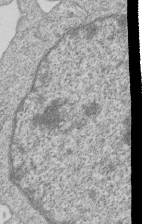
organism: Human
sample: MDA-MB-231 cells